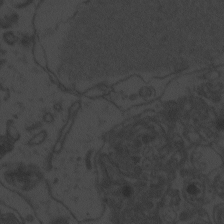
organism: Zebrafish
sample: Macrophage infected with Toxoplasma gondii